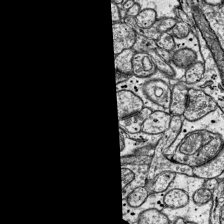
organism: Mouse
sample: Visual Cortex